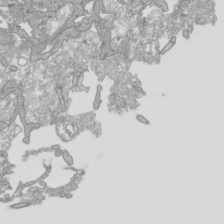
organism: Human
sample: Mitochondria in HCT116 cells